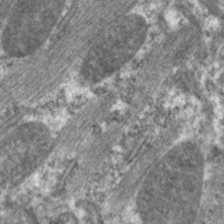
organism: C. elegans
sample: Pharynx